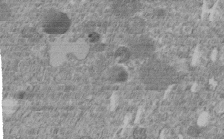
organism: C. elegans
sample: C. elegans embryo early stage